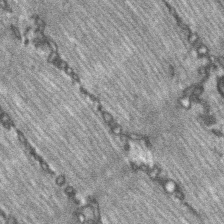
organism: C57BL Mouse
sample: Soleus